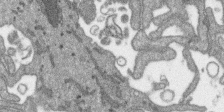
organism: Human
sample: Lung epithelial cells infected with SARS-CoV-2